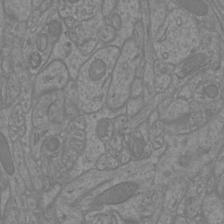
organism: Mouse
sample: Cortical neurons